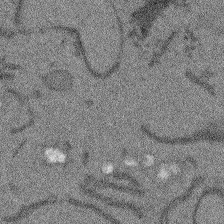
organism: Arabidopsis thaliana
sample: Root tip